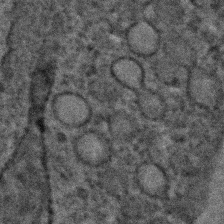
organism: C. elegans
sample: C. elegans embryo